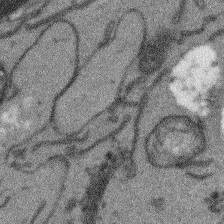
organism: Arabidopsis thaliana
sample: Root tip